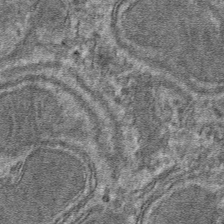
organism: Mouse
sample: Mouse hepatocytes